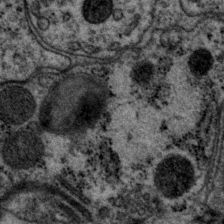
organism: P. pacificus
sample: Pharynx